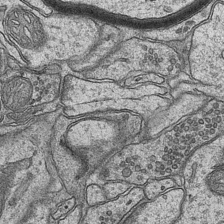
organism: Mouse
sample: CA1 Hippocampus